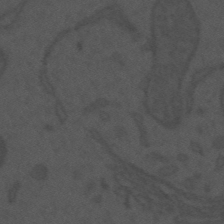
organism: Mouse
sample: Suprachiasmatic nucleus